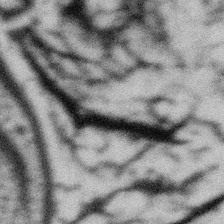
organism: Gemmata obscuriglobus